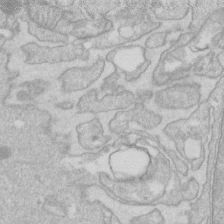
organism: Human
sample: Fibroblast cells